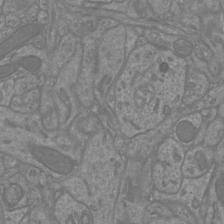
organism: Mouse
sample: Cortical neurons